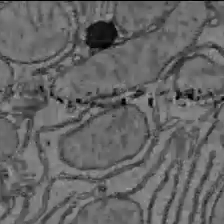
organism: C57BL Mouse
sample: Liver